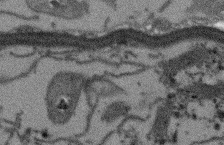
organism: Arabidopsis thaliana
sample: Root tip